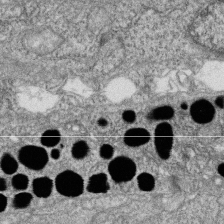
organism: Zebrafish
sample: Cilia; retinal pigment epithelium